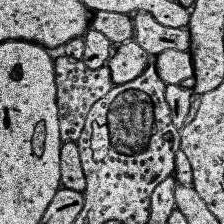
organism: Human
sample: Temporal Lobe